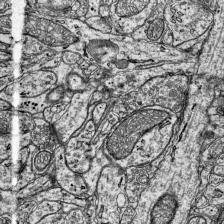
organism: Mouse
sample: Visual Cortex